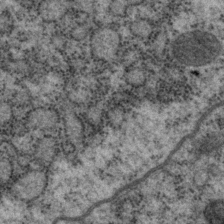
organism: P. pacificus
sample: Pharynx